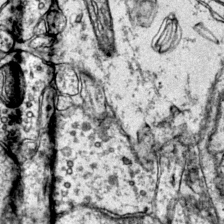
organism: Mouse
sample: Primary visual cortex